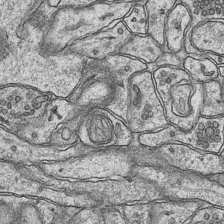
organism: Mouse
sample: CA1 Hippocampus